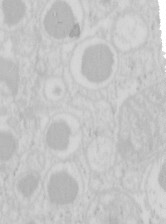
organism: Mouse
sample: Pancreas